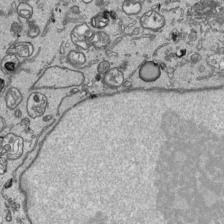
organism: Human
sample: Mitochondria in HCT116 cells